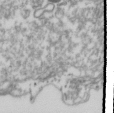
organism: Drosophila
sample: Cell division; meiosis; drosophila spermatocytes